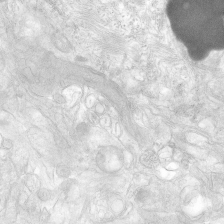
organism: Human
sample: Neocortex